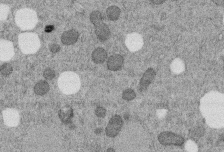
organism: C. elegans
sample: C. elegans embryo early stage